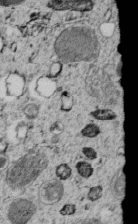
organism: C. elegans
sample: C. elegans embryo early stage